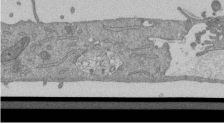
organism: Mouse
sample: ED-1 cell nuclei; centrioles